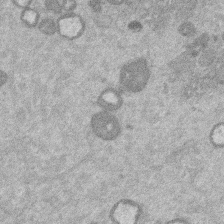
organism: Mouse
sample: Dividing mouse embryo 1 cell stage